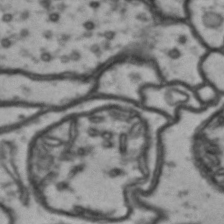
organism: Drosophila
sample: Brain